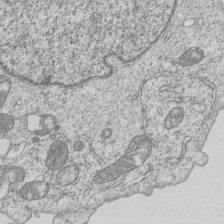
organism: Human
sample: MDA-MB-231 cells